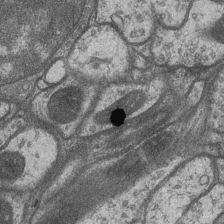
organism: Drosophila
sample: Optic medulla